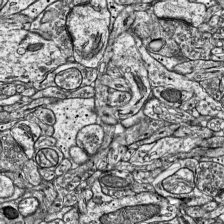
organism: Mouse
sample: Visual Cortex